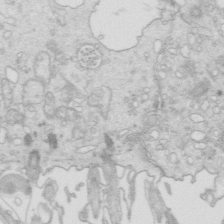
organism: Mouse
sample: Multiciliated cells